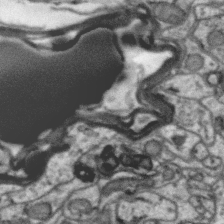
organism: Zebra finch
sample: Brain